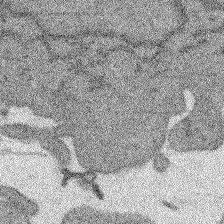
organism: Human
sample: HeLa cells